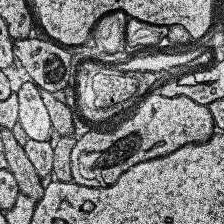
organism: Human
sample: Temporal Lobe